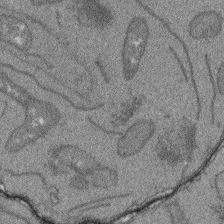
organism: Arabidopsis thaliana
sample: Root tip